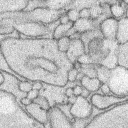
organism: Rabbit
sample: Retina